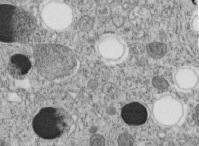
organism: C. elegans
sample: C. elegans embryo early stage